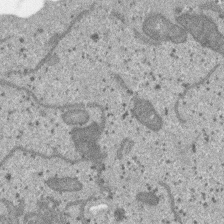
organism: Human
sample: Lung epithelial cells infected with SARS-CoV-2